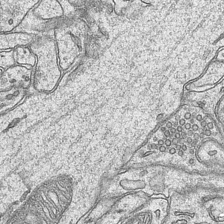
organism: Mouse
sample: CA1 Hippocampus